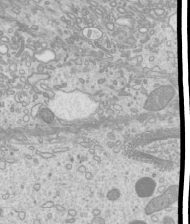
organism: Mouse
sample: Cilia; mouse epididymis